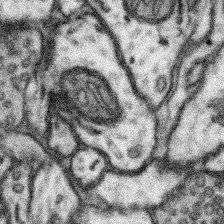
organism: Mouse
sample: Somatosensory cortex neuropil